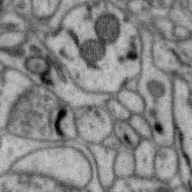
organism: Zebra finch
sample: Brain